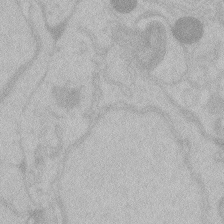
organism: Zebrafish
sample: Macrophage infected with Toxoplasma gondii